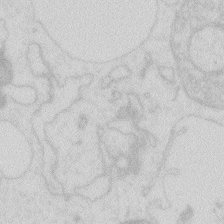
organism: Zebrafish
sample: Macrophage